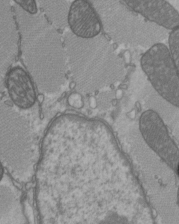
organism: C57BL Mouse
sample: Heart